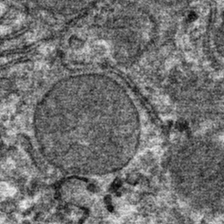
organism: Mouse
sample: Mouse hepatocytes